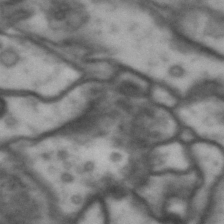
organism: Drosophila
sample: Brain